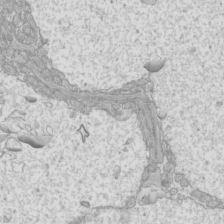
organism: Mouse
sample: Cilia; mouse epididymis